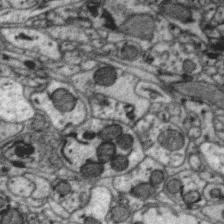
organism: Zebra finch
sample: Brain